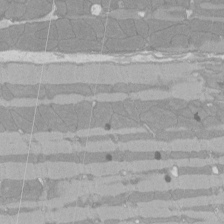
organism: Rat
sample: Left ventricle